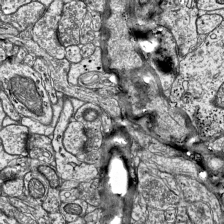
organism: Mouse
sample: Visual Cortex